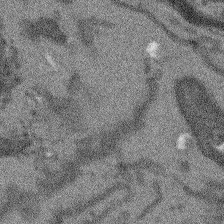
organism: Arabidopsis thaliana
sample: Root tip